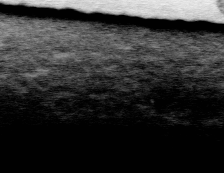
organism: Human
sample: HeLa cells